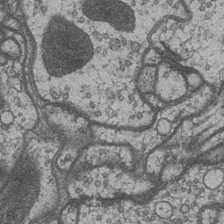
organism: Drosophila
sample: Optic medulla